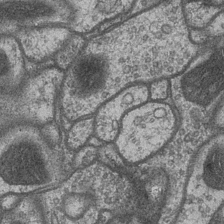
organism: Drosophila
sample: Optic medulla